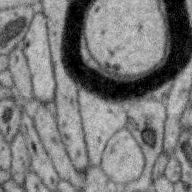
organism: Zebra finch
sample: Brain